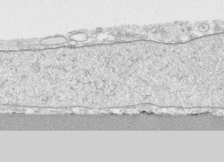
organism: Human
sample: CRL-1474